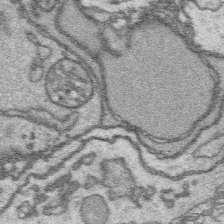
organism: Platynereis dumerilii